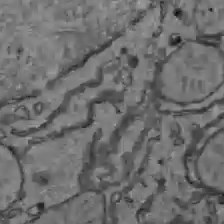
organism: C57BL Mouse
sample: Liver